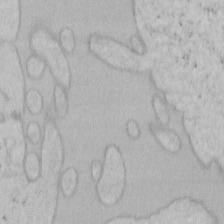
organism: Human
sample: HeLa cells